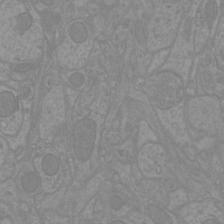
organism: Mouse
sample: Cortical neurons